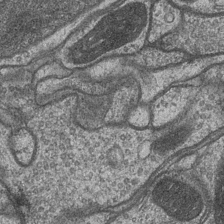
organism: Drosophila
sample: Optic medulla